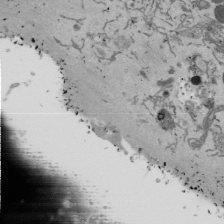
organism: Mouse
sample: ED-1 cell nuclei; centrioles